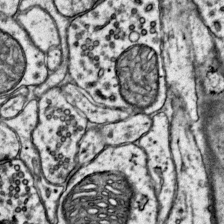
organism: Mouse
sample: Primary visual cortex